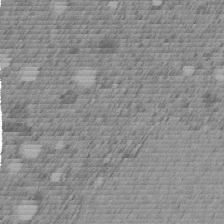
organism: C. elegans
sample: C. elegans embryo early stage